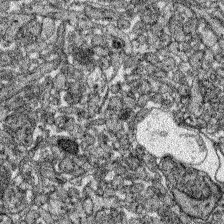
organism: Zebrafish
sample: Larval olfactory bulb